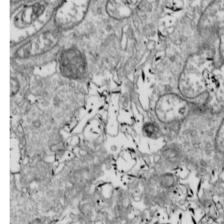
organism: Drosophila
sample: Cell division; meiosis; drosophila spermatocytes